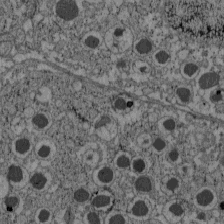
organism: C57BL Mouse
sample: Pancreatic islet